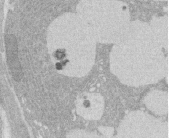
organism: Rat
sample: Salivary granule